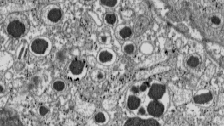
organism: C57BL Mouse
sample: Pancreatic islet